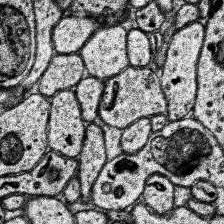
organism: Human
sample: Temporal Lobe